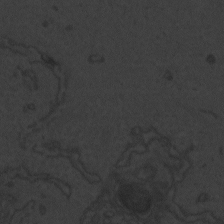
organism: Zebrafish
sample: Macrophage infected with Toxoplasma gondii